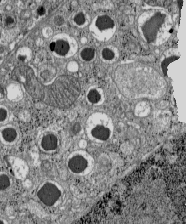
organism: C57BL Mouse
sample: Pancreatic islet